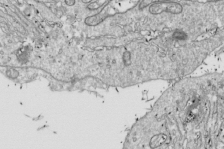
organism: Drosophila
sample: Cell division; meiosis; drosophila spermatocytes